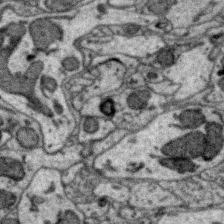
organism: Zebra finch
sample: Brain